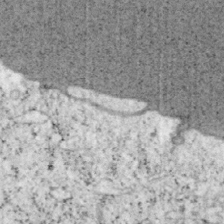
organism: Mouse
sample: OT-I killer T cells with ID8 ovarian cancer cells